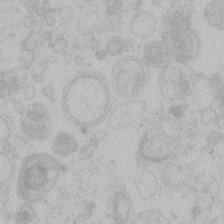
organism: Zebrafish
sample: Macrophage infected with Toxoplasma gondii